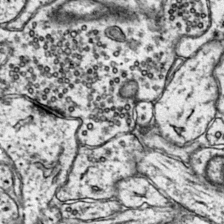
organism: Mouse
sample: Primary visual cortex